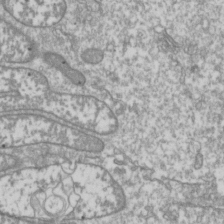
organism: Drosophila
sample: Cell division; meiosis; drosophila spermatocytes